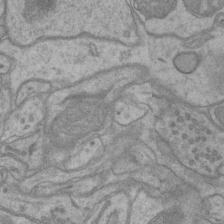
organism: Mouse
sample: CA1 Hippocampus